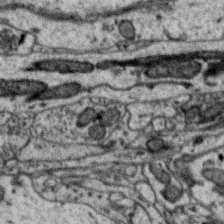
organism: Zebra finch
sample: Brain